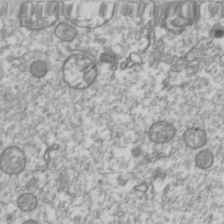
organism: Drosophila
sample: Cell division; meiosis; drosophila spermatocytes